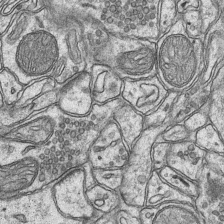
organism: Mouse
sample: CA1 Hippocampus